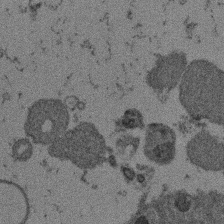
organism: Mouse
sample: Dividing mouse embryo 1 cell stage